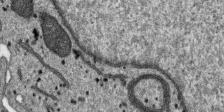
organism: Human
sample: Lung epithelial cells, uninfected (mock) control